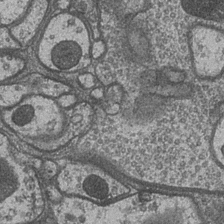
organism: Drosophila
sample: Optic medulla